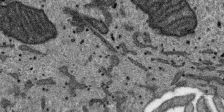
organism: Human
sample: Lung epithelial cells, uninfected (mock) control